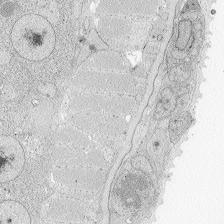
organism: Zebrafish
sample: Whole-Brain